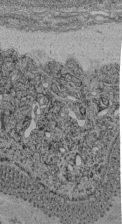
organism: C. elegans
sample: C. elegans pharynx